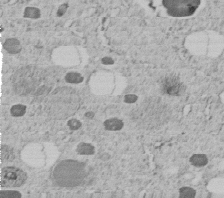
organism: C. elegans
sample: C. elegans embryo early stage